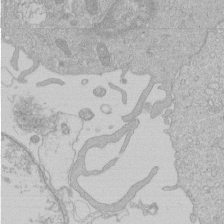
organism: Human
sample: Macrophage cells